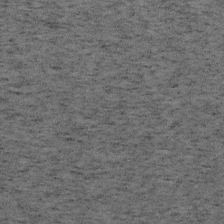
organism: Mouse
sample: OT-I killer T cells with ID8 ovarian cancer cells